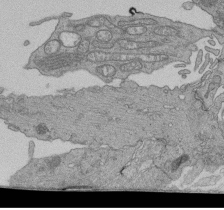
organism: Human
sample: Retinal organoid Rod and Cone cells